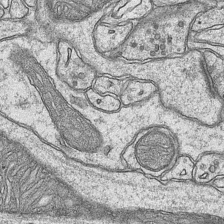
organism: Mouse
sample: CA1 Hippocampus